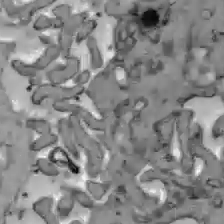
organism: C57BL Mouse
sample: Liver